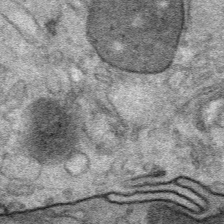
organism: Mouse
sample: Mouse Salivary gland